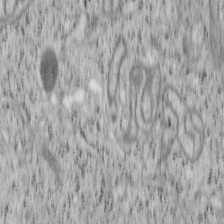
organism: Human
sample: HeLa cells